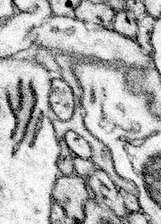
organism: Mouse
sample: Somatosensory cortex neuropil